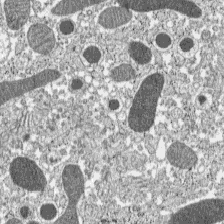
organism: C57BL Mouse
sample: Pancreatic islet